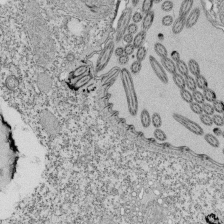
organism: Tetrahymena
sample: Cilia in tetrahymena